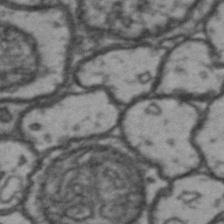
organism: Drosophila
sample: Brain